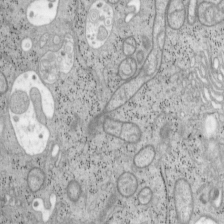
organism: Mouse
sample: OT-I killer T cells with ID8 ovarian cancer cells